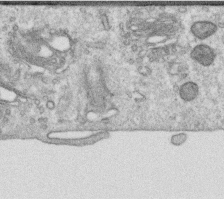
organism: Human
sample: Centriole in RPE cells